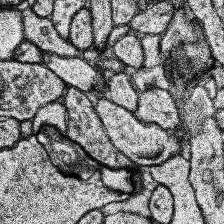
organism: Human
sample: Temporal Lobe